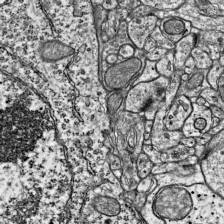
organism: Mouse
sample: Visual Cortex